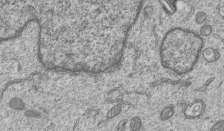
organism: Human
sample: MDA-MB-231 cells